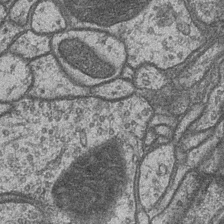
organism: Drosophila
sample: Optic medulla